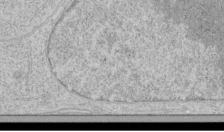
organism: Human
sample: Mitochondria in HCT116 cells